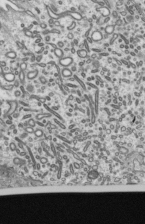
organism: Mouse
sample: Mouse epididymis efferent ductule cilia